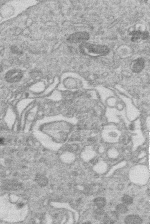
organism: Human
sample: Macrophage cells